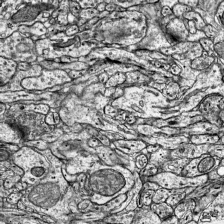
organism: Mouse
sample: Visual Cortex